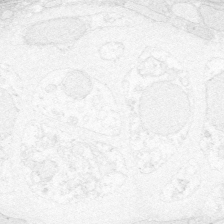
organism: Zebrafish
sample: Whole-Brain